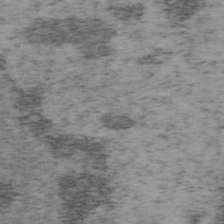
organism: Mouse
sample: OT-I killer T cells with ID8 ovarian cancer cells